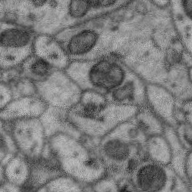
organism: Zebra finch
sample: Brain